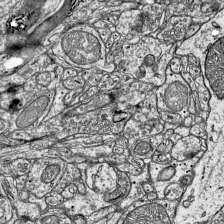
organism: Mouse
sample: Visual Cortex